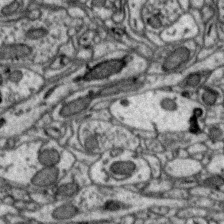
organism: Zebra finch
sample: Brain